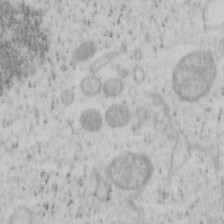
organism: Human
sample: HeLa cells